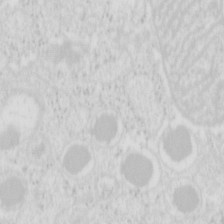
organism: Mouse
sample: Pancreas